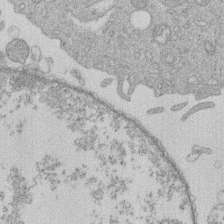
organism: Human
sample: Macrophage cells